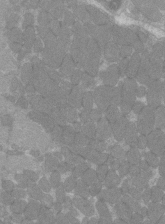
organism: C57BL Mouse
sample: Tibialis anterior muscle cell